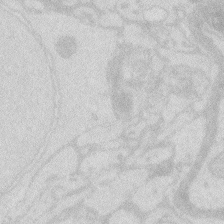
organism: Zebrafish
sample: Macrophage